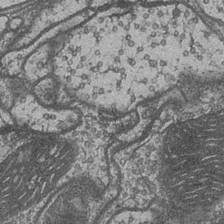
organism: Drosophila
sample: Optic medulla